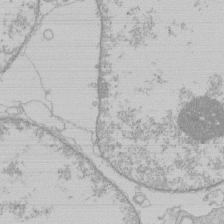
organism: Human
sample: Macrophage cells